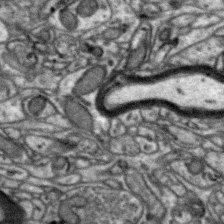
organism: Zebra finch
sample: Brain